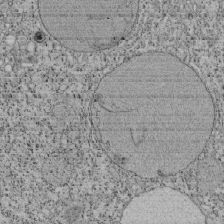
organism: Tetrahymena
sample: Cilia in tetrahymena